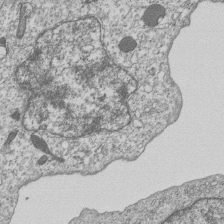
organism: Human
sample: MDA-MB-231 cells